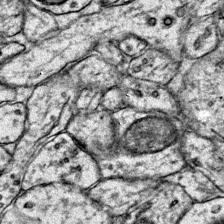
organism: Mouse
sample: Primary visual cortex